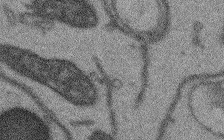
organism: Arabidopsis thaliana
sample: Root tip